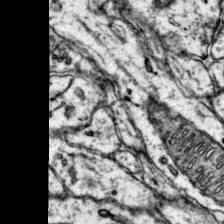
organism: Mouse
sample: Primary visual cortex